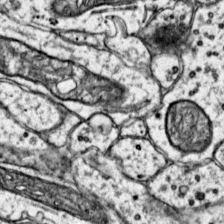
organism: Mouse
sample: Primary visual cortex